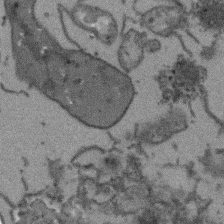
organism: Arabidopsis thaliana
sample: Root tip